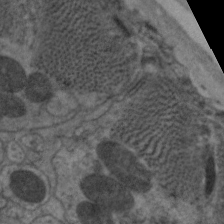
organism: C. elegans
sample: Pharynx